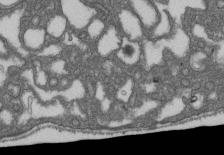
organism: Drosophila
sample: Nephrocyte